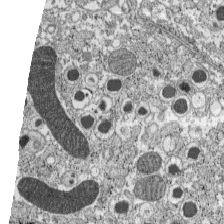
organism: C57BL Mouse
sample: Pancreatic islet